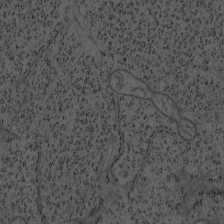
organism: Mouse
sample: OT-I killer T cells with ID8 ovarian cancer cells